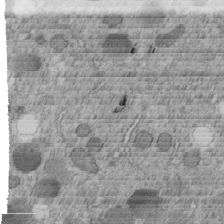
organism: C. elegans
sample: C. elegans embryo early stage